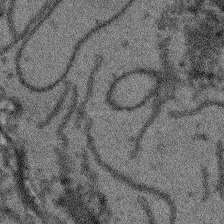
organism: Arabidopsis thaliana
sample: Root tip